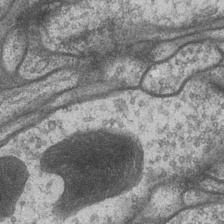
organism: Drosophila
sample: Optic medulla